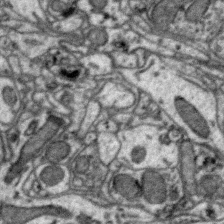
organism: Zebra finch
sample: Brain